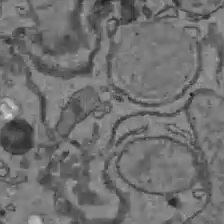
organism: C57BL Mouse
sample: Liver